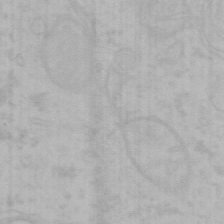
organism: Mouse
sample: Choroid plexus